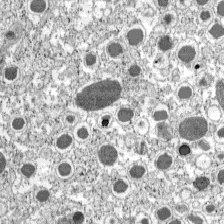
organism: C57BL Mouse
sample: Pancreatic islet